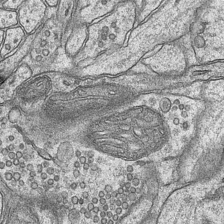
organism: Mouse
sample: CA1 Hippocampus